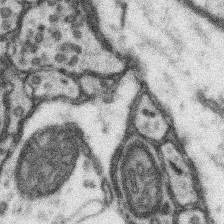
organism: Mouse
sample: Somatosensory cortex neuropil